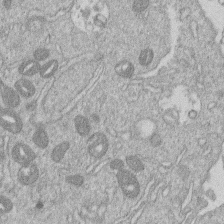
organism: Human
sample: Macrophage cells